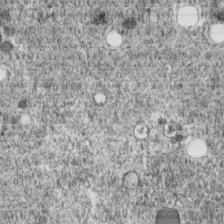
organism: C. elegans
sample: C. elegans embryo early stage